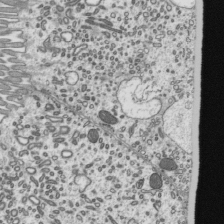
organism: Mouse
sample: Mouse epididymis efferent ductule cilia